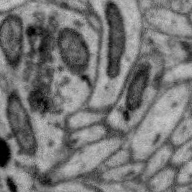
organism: Zebra finch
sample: Brain